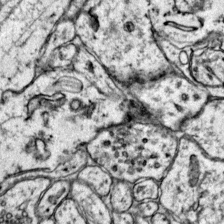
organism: Mouse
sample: Primary visual cortex